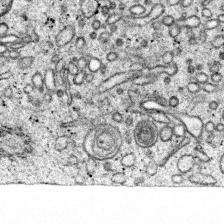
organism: Human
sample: HeLa cells